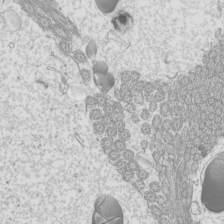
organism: Mouse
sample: Cilia; mouse epididymis